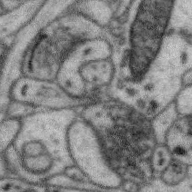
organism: Zebra finch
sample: Brain